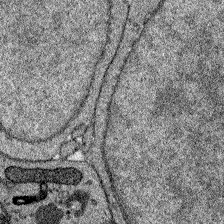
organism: Zebrafish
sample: Larval olfactory bulb